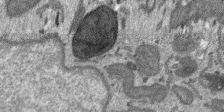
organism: Human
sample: Lung epithelial cells infected with SARS-CoV-2